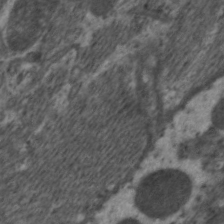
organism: C. elegans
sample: Pharynx